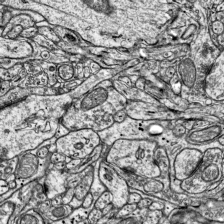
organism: Mouse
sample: Visual Cortex